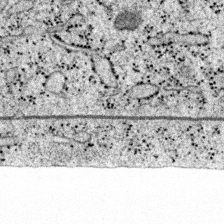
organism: Human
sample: HeLa cells